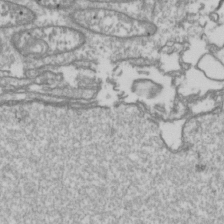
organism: Drosophila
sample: Cell division; meiosis; drosophila spermatocytes